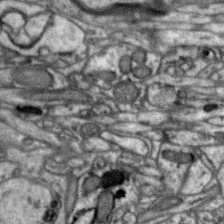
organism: Zebra finch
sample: Brain